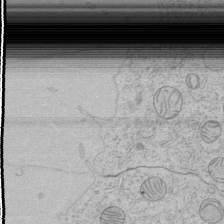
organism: Human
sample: Mitochondria in HCT116 cells